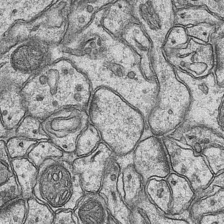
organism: Mouse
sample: CA1 Hippocampus